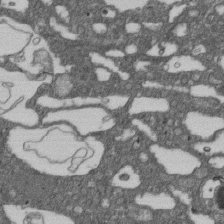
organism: Drosophila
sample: Nephrocyte